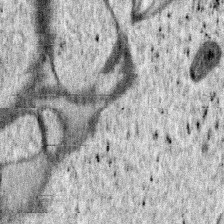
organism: Human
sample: HeLa cells